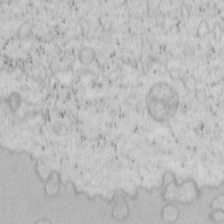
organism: Human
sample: HeLa cells